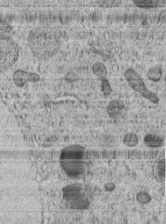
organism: C. elegans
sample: C. elegans embryo early stage